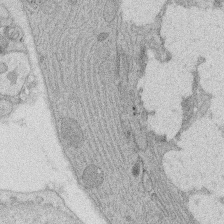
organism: Rat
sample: Salivary granule